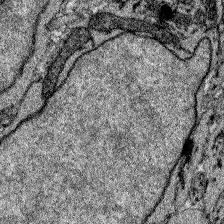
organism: Zebrafish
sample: Larval olfactory bulb